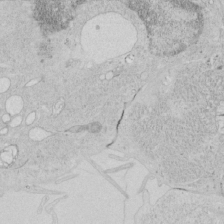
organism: Human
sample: Mitochondria in HCT116 cells